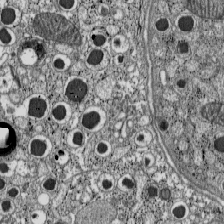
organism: C57BL Mouse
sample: Pancreatic islet